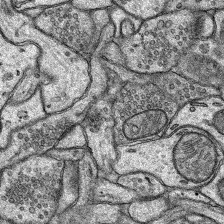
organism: Rat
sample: Hippocampus